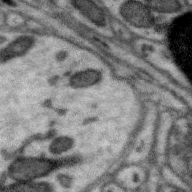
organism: Zebra finch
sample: Brain